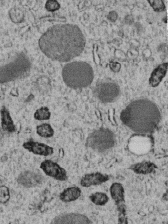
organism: C. elegans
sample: C. elegans embryo early stage